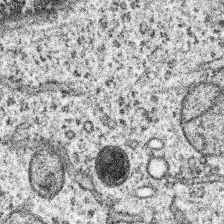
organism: Human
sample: HeLa cells